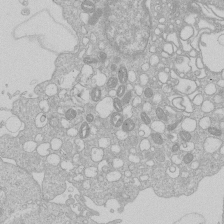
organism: Human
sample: Macrophage cells